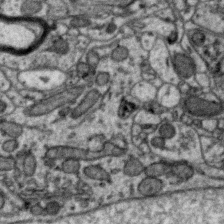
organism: Zebra finch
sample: Brain